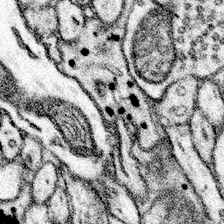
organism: Mouse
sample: Somatosensory cortex neuropil